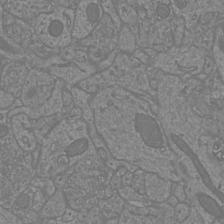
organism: Mouse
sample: Cortical neurons